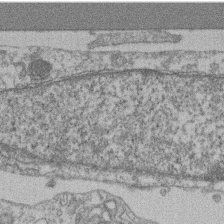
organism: Mouse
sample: T cell stromal cell synapse